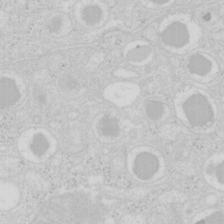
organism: Mouse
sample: Pancreas